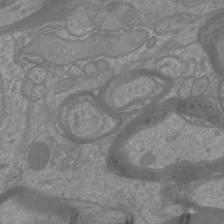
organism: Mouse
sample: Cortical neurons